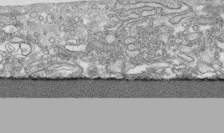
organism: Human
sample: CRL-1474